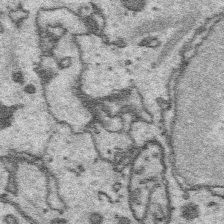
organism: Platynereis dumerilii